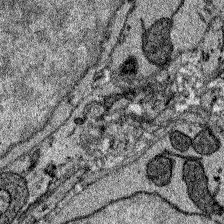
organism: Zebrafish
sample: Larval olfactory bulb